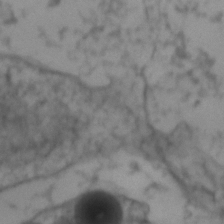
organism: Zebrafish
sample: Zebrafish embryo